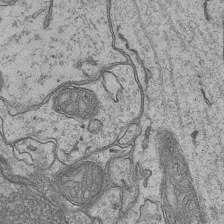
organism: Mouse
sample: CA1 Hippocampus